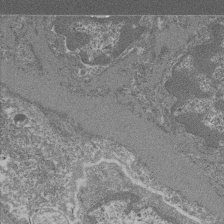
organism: Mouse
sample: Glomerulus